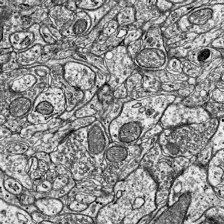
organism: Mouse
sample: Visual Cortex